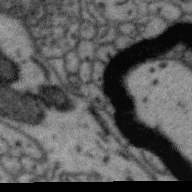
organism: Zebra finch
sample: Brain